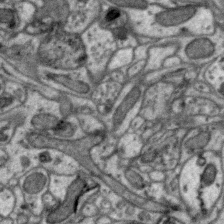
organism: Zebra finch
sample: Brain